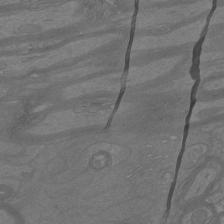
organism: Mouse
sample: Cortical neurons